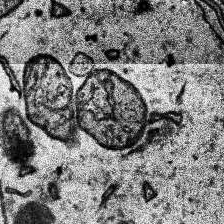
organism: Human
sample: Temporal Lobe